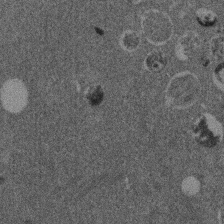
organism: Mouse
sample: Dividing mouse embryo 1 cell stage